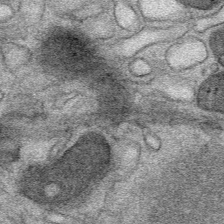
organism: Mouse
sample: Mouse Salivary gland